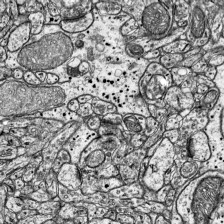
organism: Mouse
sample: Visual Cortex